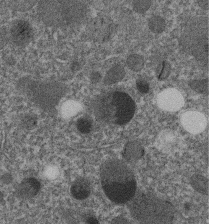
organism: C. elegans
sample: C. elegans embryo early stage